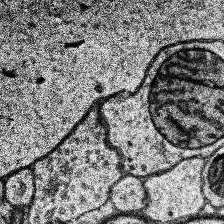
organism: Human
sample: Temporal Lobe